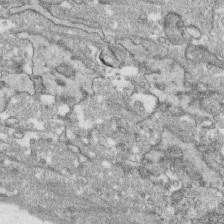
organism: Human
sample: CRL-1474